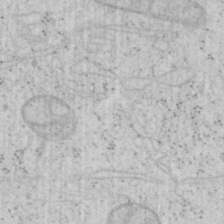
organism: Human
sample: HeLa cells